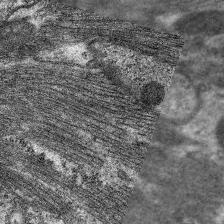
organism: C. elegans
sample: Pharynx